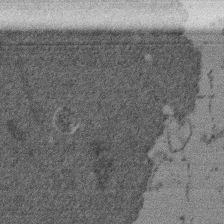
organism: Mouse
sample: Dividing mouse embryo 1 cell stage